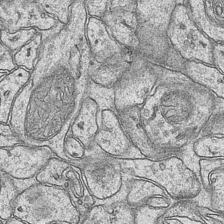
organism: Mouse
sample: CA1 Hippocampus